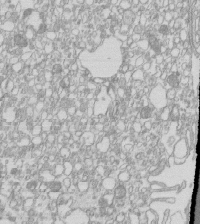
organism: Mouse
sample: Macrophages